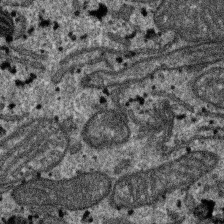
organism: Human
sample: Lung epithelial cells infected with SARS-CoV-2